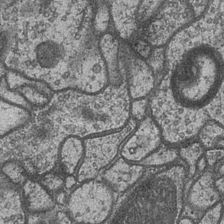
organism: Drosophila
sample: Optic medulla